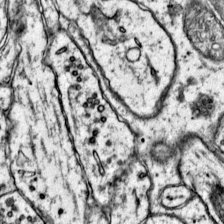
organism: Mouse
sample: Primary visual cortex